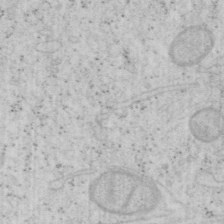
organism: Human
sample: HeLa cells